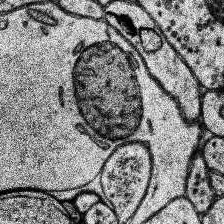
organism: Human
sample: Temporal Lobe